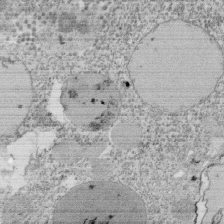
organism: Tetrahymena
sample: Cilia in tetrahymena